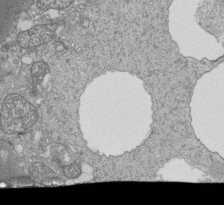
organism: Tetrahymena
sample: Cilia in tetrahymena